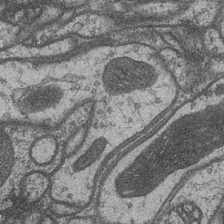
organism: Drosophila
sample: Optic medulla